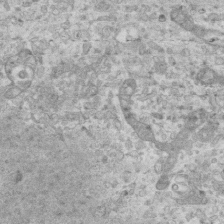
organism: Mouse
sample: Centriole in ependymal cells